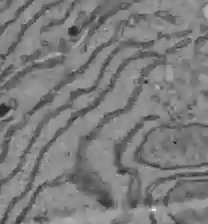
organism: C57BL Mouse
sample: Liver